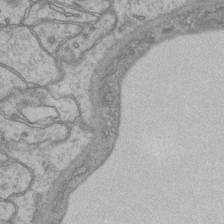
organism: Mouse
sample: CA1 Hippocampus